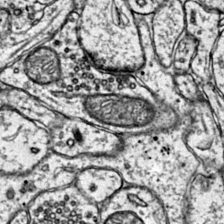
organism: Mouse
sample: Primary visual cortex